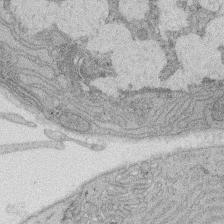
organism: Rat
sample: Salivary granule